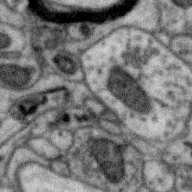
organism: Zebra finch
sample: Brain